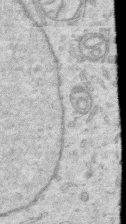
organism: Human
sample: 1205lu cells